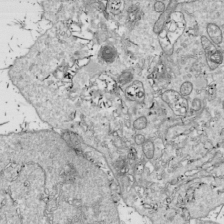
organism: Drosophila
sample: Cell division; meiosis; drosophila spermatocytes